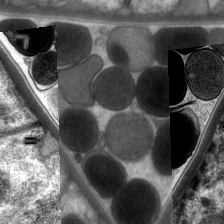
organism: C. elegans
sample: Pharynx